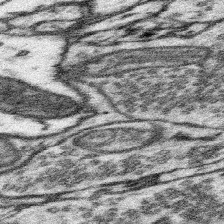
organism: Mouse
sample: Somatosensory cortex neuropil